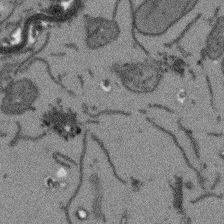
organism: Arabidopsis thaliana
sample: Root tip